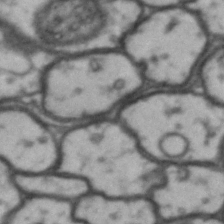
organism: Drosophila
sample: Brain